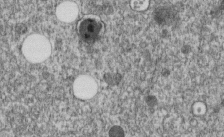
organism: C. elegans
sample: C. elegans embryo early stage